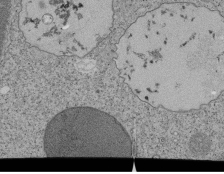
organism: Tetrahymena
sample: Cilia in tetrahymena